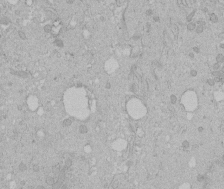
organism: Human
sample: Melanocyte Keratinocyte synapse skin construct